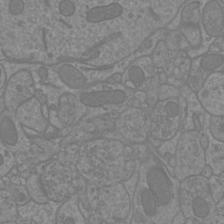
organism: Mouse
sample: Cortical neurons